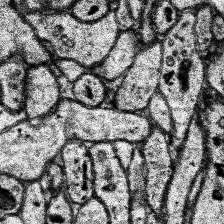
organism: Human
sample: Temporal Lobe